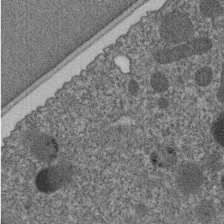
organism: C. elegans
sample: C. elegans embryo early stage